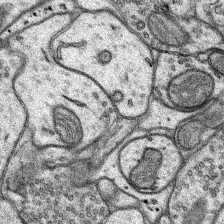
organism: Rat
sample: Hippocampus